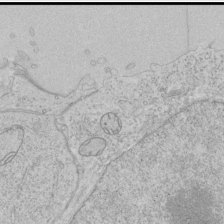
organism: Human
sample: Mitochondria in HCT116 cells